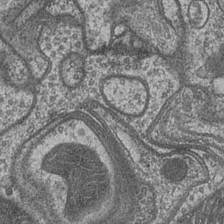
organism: Drosophila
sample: Optic medulla